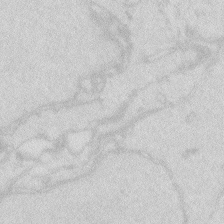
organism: Zebrafish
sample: Macrophage